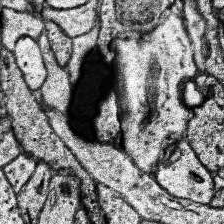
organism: Human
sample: Temporal Lobe